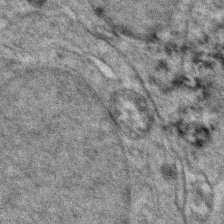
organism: Zebrafish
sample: Zebrafish embryo